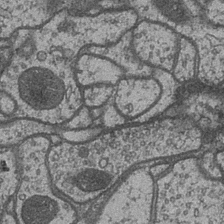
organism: Drosophila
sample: Optic medulla